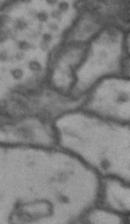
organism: Drosophila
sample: Brain